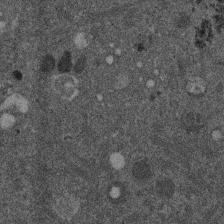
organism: Mouse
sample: Dividing mouse embryo 1 cell stage